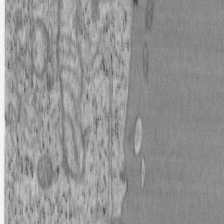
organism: Human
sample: HeLa cells